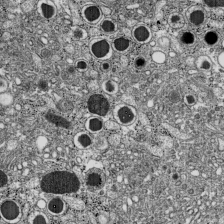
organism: C57BL Mouse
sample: Pancreatic islet